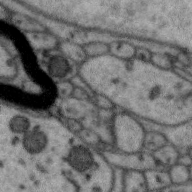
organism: Zebra finch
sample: Brain